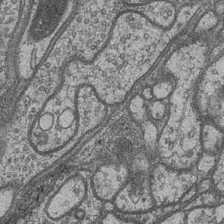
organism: Drosophila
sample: Optic medulla